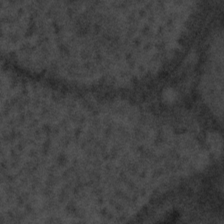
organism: Tuwongella immobilis